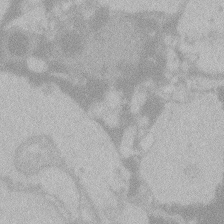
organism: Zebrafish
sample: Macrophage infected with Toxoplasma gondii